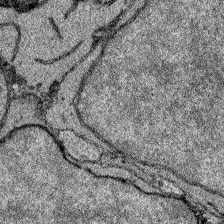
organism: Zebrafish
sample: Larval olfactory bulb